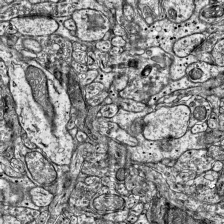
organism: Mouse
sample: Visual Cortex